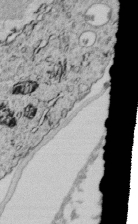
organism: C. elegans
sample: C. elegans embryo early stage